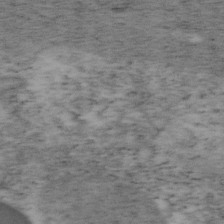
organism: Mouse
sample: OT-I killer T cells with ID8 ovarian cancer cells